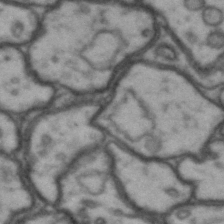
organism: Drosophila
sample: Brain